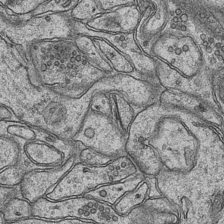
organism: Mouse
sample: CA1 Hippocampus